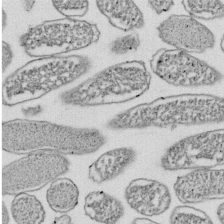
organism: E. coli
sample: Bacterial nucleoid